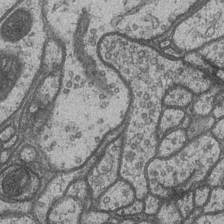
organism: Drosophila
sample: Optic medulla